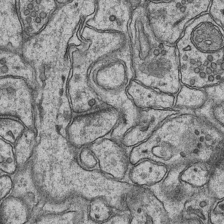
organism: Mouse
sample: CA1 Hippocampus